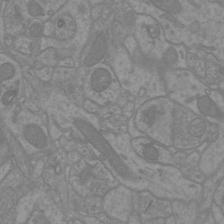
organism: Mouse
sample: Cortical neurons